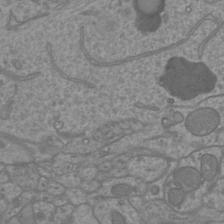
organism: Mouse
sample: Cortical neurons